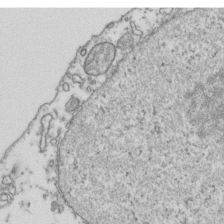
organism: Human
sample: Activated Jurkat CD4+ T cells